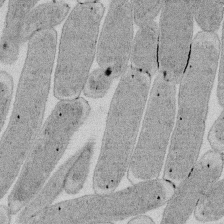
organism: E. coli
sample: Bacterial nucleoid